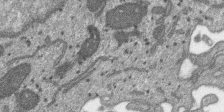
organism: Human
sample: Lung epithelial cells infected with SARS-CoV-2